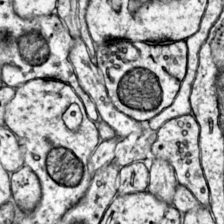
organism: Mouse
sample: Primary visual cortex